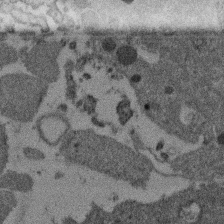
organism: Mouse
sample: Dividing mouse embryo 1 cell stage